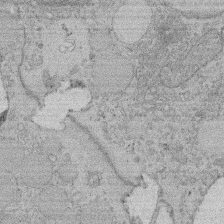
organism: Rat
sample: Salivary granule